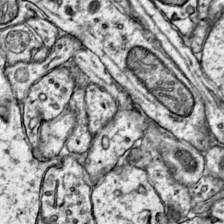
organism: Mouse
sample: Primary visual cortex